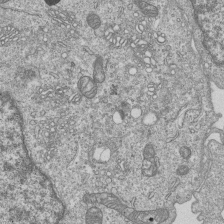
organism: Human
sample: MDA-MB-231 cells